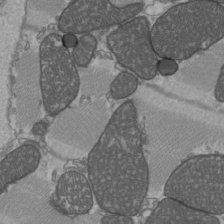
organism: C57BL Mouse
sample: Heart